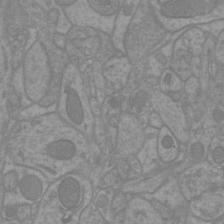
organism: Mouse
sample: Cortical neurons